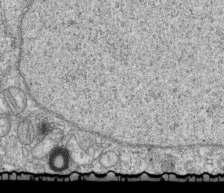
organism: Human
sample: HeLa cell HIV synapse